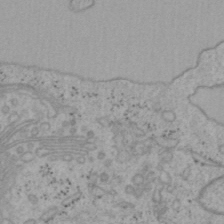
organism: Human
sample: HeLa cells